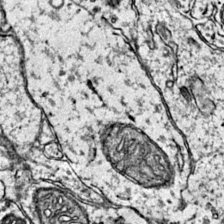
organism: Mouse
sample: Primary visual cortex